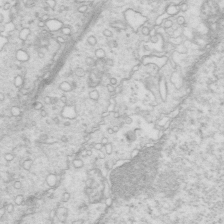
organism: Mouse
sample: Multiciliated cells